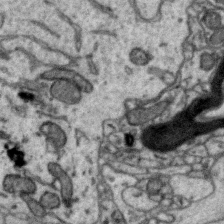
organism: Zebra finch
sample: Brain